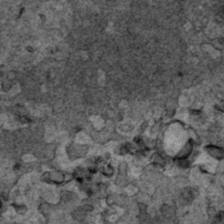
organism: Human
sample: Mitochondria in HCT116 cells